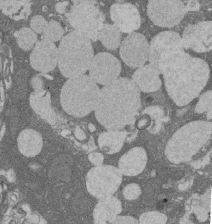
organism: Rat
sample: Salivary granule